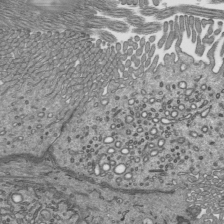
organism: Mouse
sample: Mouse epididymis efferent ductule cilia